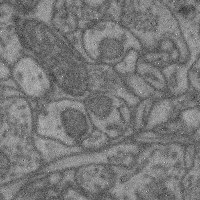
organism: Mouse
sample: Cerebral cortex